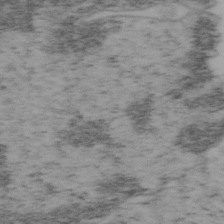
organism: Mouse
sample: OT-I killer T cells with ID8 ovarian cancer cells